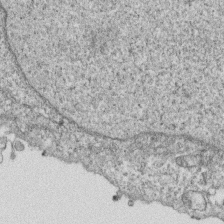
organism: Human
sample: HeLa cell HIV synapse